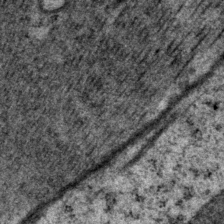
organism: P. pacificus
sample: Pharynx